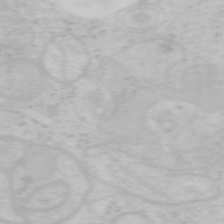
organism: Mouse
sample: OT-I killer T cells with ID8 ovarian cancer cells